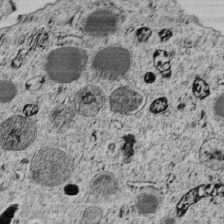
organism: C. elegans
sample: C. elegans embryo early stage